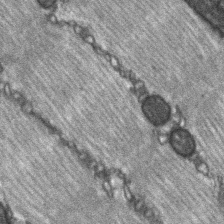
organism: C57BL Mouse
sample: Soleus